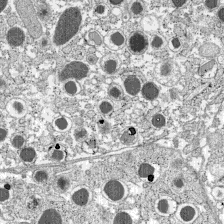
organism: C57BL Mouse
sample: Pancreatic islet